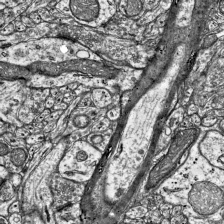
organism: Mouse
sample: Visual Cortex